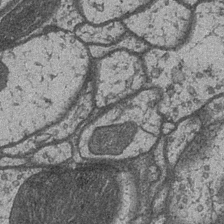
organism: Drosophila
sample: Optic medulla